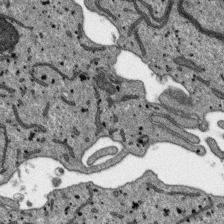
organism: Human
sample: Lung epithelial cells, uninfected (mock) control